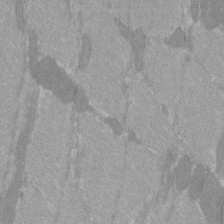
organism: C57BL Mouse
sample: Tibialis anterior muscle cell